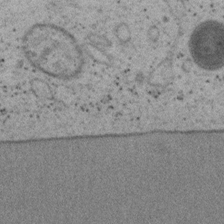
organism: Human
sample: HeLa cells